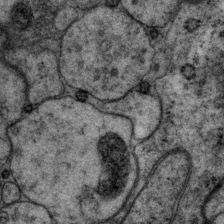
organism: P. pacificus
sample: Pharynx